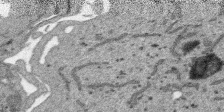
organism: Human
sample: Lung epithelial cells infected with SARS-CoV-2